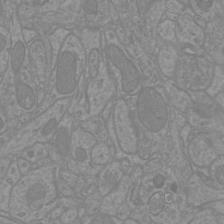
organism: Mouse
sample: Cortical neurons